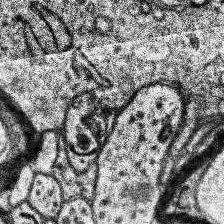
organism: Human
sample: Temporal Lobe